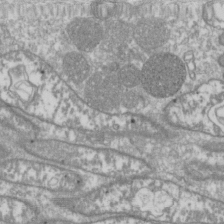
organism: Drosophila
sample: Cell division; meiosis; drosophila spermatocytes